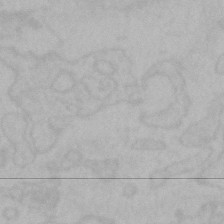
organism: Mouse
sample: Choroid plexus